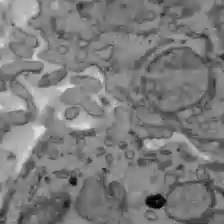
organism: C57BL Mouse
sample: Liver